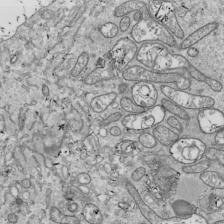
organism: Drosophila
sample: Cell division; meiosis; drosophila spermatocytes